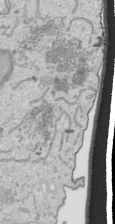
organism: Human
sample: Mitochondria in HCT116 cells